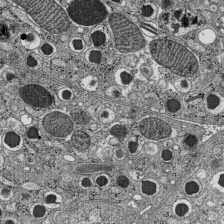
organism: C57BL Mouse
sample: Pancreatic islet